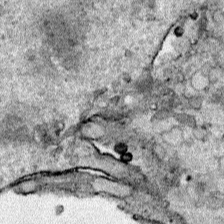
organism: Human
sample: Mitochondria in HCT116 cells